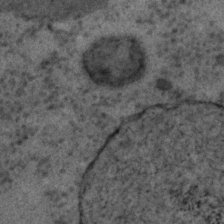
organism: C. elegans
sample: C. elegans embryo